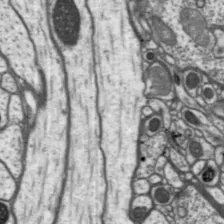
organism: Drosophila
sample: Protocerebral bridge